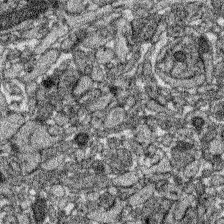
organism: Zebrafish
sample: Larval olfactory bulb